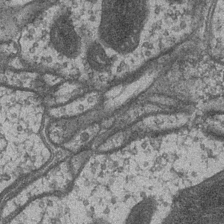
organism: Drosophila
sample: Optic medulla